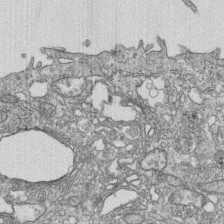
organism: Human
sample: HeLa cell HIV synapse